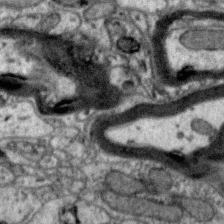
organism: Zebra finch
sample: Brain